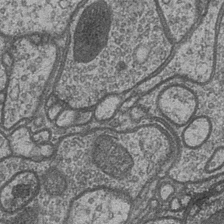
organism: Drosophila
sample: Optic medulla